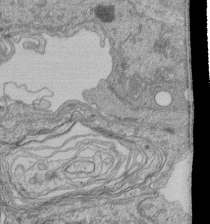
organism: Human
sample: Retinal organoid Rod and Cone cells